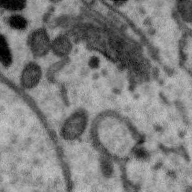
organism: Zebra finch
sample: Brain